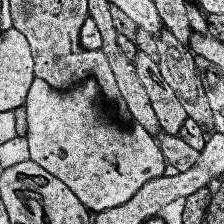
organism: Human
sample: Temporal Lobe